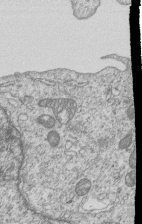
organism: Human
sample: MDA-MB-231 cells